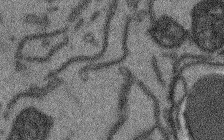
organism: Arabidopsis thaliana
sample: Root tip